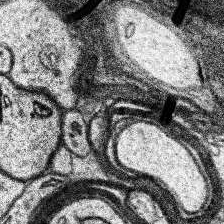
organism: Human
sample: Temporal Lobe